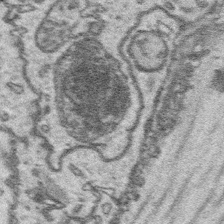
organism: Platynereis dumerilii